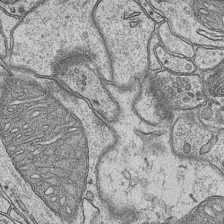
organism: Mouse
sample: CA1 Hippocampus